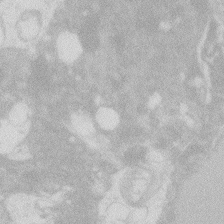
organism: Zebrafish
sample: Macrophage